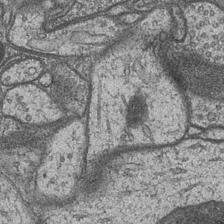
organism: Drosophila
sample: Optic medulla